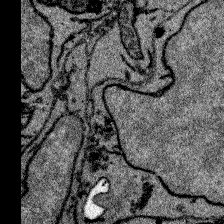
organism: Zebrafish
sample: Larval olfactory bulb